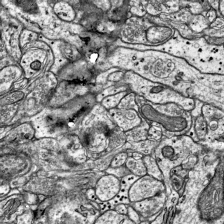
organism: Mouse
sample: Visual Cortex